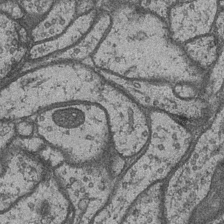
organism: Drosophila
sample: Optic medulla